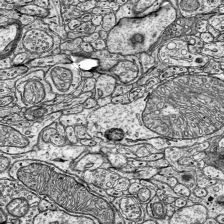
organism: Mouse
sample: Visual Cortex